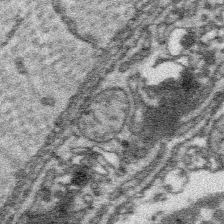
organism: Platynereis dumerilii